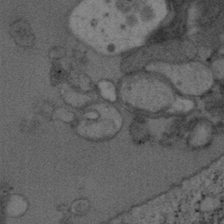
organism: Human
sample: HeLa cells